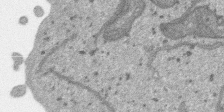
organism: Human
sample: Lung epithelial cells infected with SARS-CoV-2